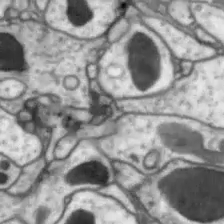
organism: Drosophila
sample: Optic lobe